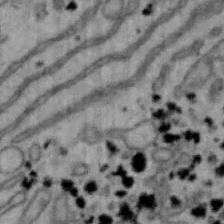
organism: Mouse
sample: Liver